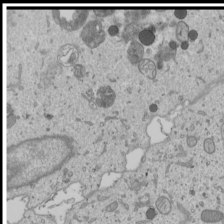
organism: Human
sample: Mitochondria in U2OS cells